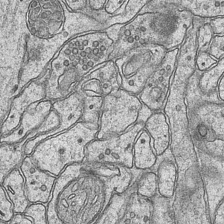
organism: Mouse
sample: CA1 Hippocampus